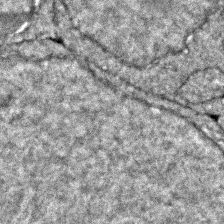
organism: Zebrafish